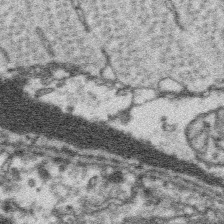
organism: Platynereis dumerilii